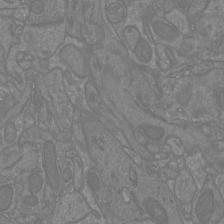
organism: Mouse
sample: Cortical neurons